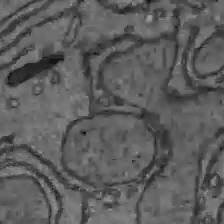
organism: C57BL Mouse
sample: Liver